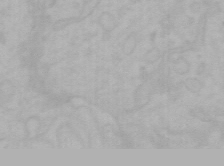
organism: Mouse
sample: Choroid plexus